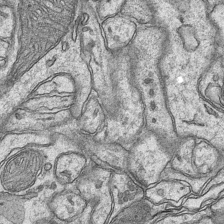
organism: Mouse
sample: CA1 Hippocampus